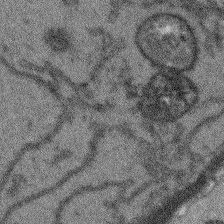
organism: Arabidopsis thaliana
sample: Root tip